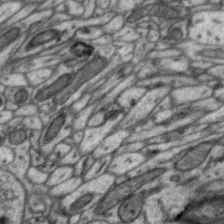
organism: Zebra finch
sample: Brain